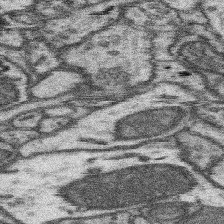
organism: Mouse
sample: Somatosensory cortex neuropil